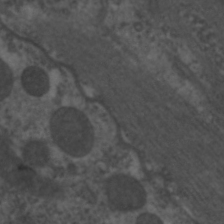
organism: C. elegans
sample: Pharynx